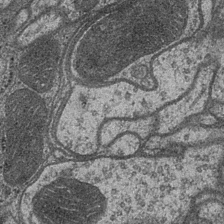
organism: Drosophila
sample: Optic medulla